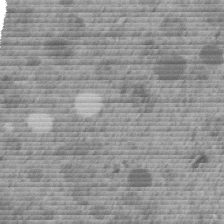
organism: C. elegans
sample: C. elegans embryo early stage